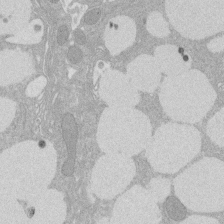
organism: Rat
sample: Salivary granule